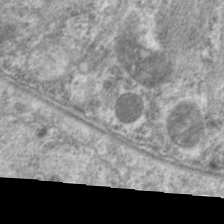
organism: C. elegans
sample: Pharynx